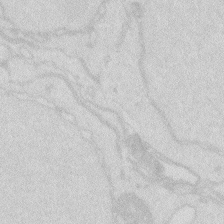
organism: Zebrafish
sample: Macrophage